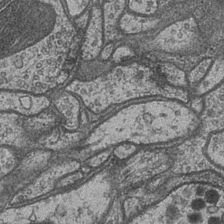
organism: Drosophila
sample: Optic medulla